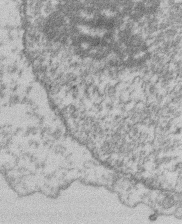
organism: Mouse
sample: T cell stromal cell synapse